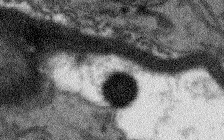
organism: Arabidopsis thaliana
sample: Root tip